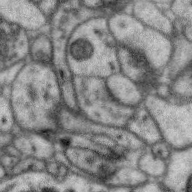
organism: Zebra finch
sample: Brain